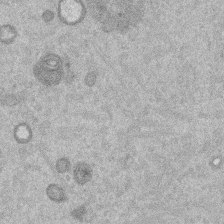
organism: Mouse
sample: Dividing mouse embryo 1 cell stage